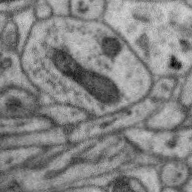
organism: Zebra finch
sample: Brain